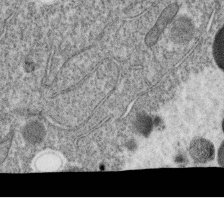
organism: C. elegans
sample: C. elegans oocyte; sperm cells